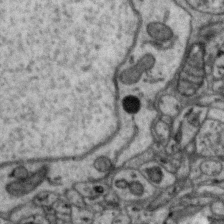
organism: Zebra finch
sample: Brain